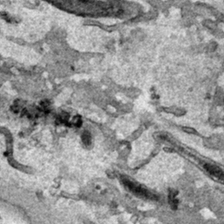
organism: Human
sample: Mitochondria in HCT116 cells